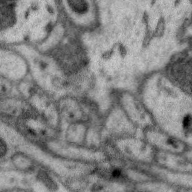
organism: Zebra finch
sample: Brain